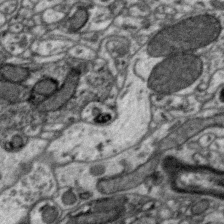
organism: Zebra finch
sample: Brain